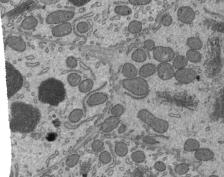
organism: Mouse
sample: Mouse epididymis efferent ductule cilia